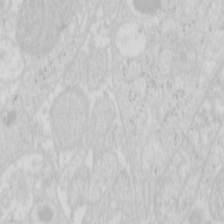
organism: Mouse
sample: Pancreas